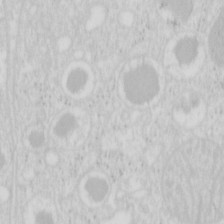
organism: Mouse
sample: Pancreas